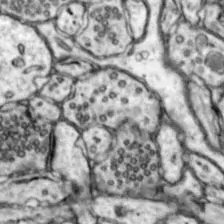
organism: Mouse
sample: Nucleus accumbens